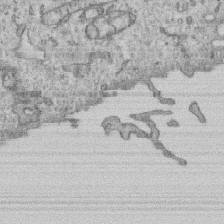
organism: Human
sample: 1205lu cells